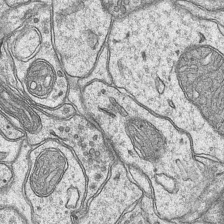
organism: Mouse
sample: CA1 Hippocampus